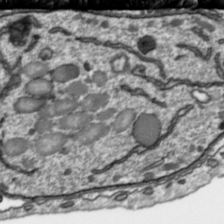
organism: Toxoplasma gondii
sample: Parasites in a vacuole inside a host cell